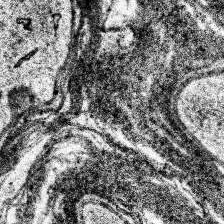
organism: Human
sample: Temporal Lobe